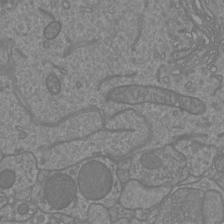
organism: Mouse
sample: Cortical neurons